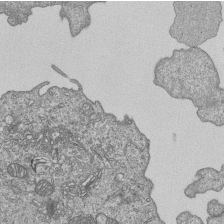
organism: Human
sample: MDA-MB-231 cells